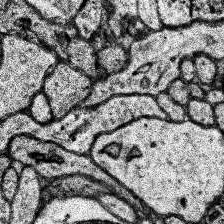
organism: Human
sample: Temporal Lobe